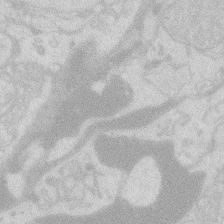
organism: Zebrafish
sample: Macrophage